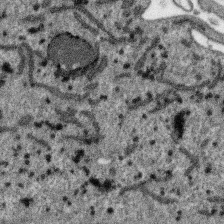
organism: Human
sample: Lung epithelial cells infected with SARS-CoV-2